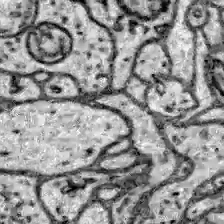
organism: Zebrafish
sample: Brain